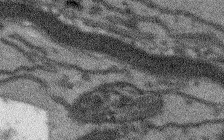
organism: Arabidopsis thaliana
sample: Root tip